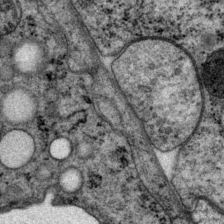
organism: P. pacificus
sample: Pharynx